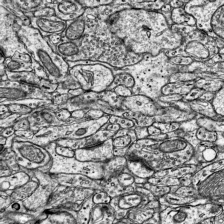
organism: Mouse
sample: Visual Cortex